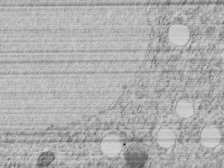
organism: C. elegans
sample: C. elegans embryo early stage